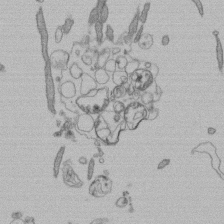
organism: Human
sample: Retinal organoid Rod and Cone cells